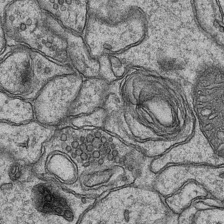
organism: Mouse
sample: CA1 Hippocampus